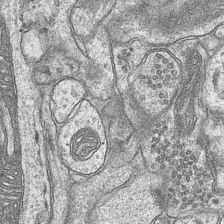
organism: Mouse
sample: CA1 Hippocampus